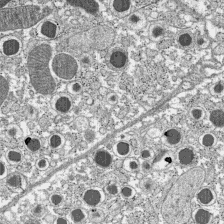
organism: C57BL Mouse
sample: Pancreatic islet